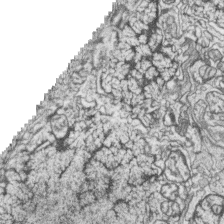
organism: Zebrafish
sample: synaptic ribbons in rod cells and cone cells